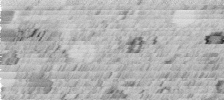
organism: C. elegans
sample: C. elegans embryo early stage